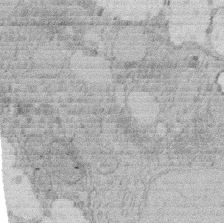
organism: Rat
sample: Salivary granule